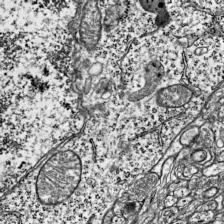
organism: Mouse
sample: Visual Cortex